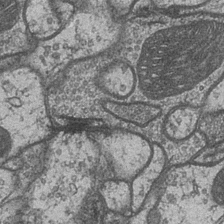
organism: Drosophila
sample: Optic medulla